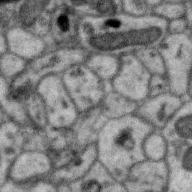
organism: Zebra finch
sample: Brain